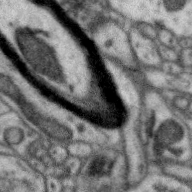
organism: Zebra finch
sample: Brain